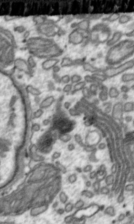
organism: Toxoplasma gondii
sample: Parasites in a vacuole inside a host cell